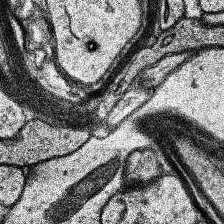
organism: Human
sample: Temporal Lobe